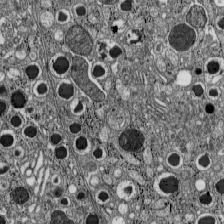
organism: C57BL Mouse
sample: Pancreatic islet